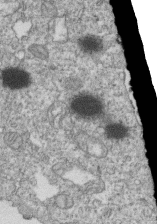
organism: Human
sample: HeLa cell HIV synapse